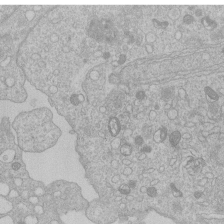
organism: Human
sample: Macrophage cells